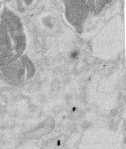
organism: Mouse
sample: T cell stromal cell synapse